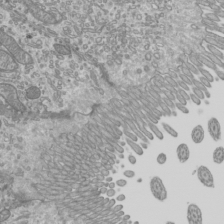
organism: Mouse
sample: Cilia; mouse epididymis